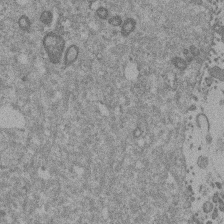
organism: Mouse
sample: Dividing mouse embryo 1 cell stage